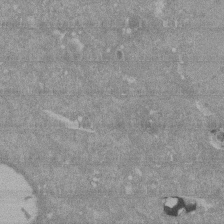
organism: Mouse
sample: ED-1 cell nuclei; centrioles